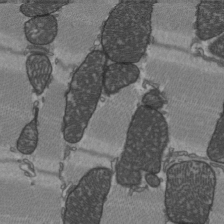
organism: C57BL Mouse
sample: Heart